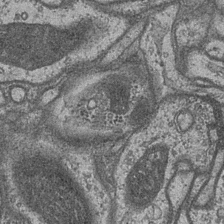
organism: Drosophila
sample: Optic medulla